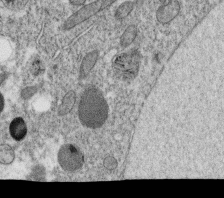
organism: C. elegans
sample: C. elegans oocyte; sperm cells